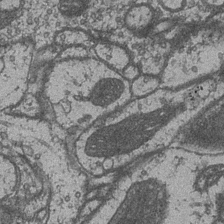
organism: Drosophila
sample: Optic medulla